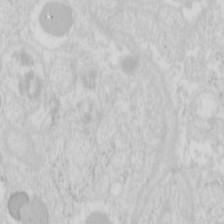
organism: Mouse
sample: Pancreas